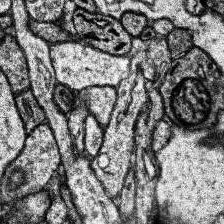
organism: Human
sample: Temporal Lobe